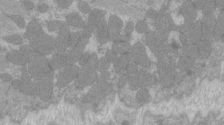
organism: C57BL Mouse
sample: Tibialis anterior muscle cell